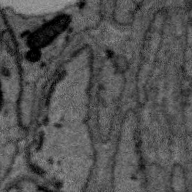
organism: Zebra finch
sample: Brain